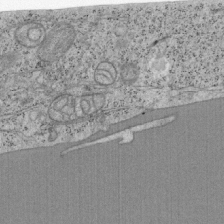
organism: Human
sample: HeLa cells